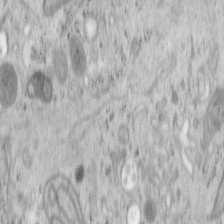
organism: Human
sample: HeLa cells